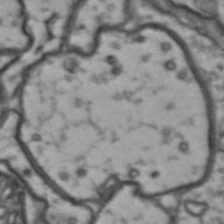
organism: Drosophila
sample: Brain